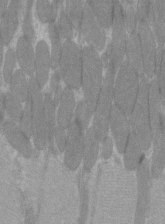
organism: C57BL Mouse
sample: Tibialis anterior muscle cell